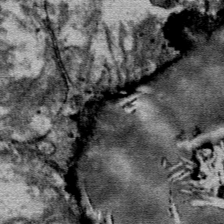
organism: Mouse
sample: Mouse Salivary gland